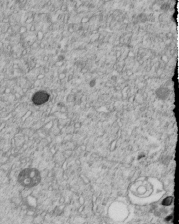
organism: C. elegans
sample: C. elegans embryo early stage